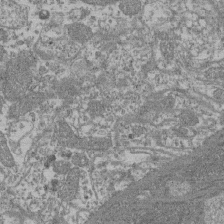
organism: Mouse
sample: Glomerulus